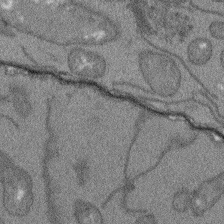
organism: Arabidopsis thaliana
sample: Root tip